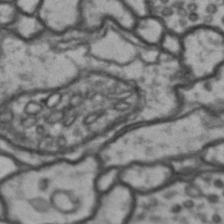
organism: Drosophila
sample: Brain